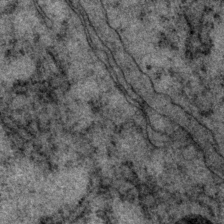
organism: P. pacificus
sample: Pharynx